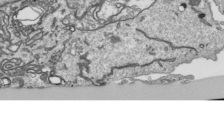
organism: Human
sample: Mitochondria in HCT116 cells